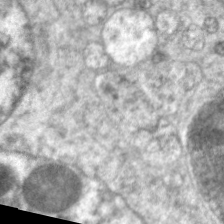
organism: C. elegans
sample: Pharynx